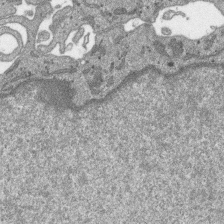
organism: Human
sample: Lung epithelial cells infected with SARS-CoV-2